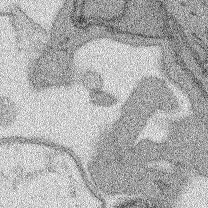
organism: Human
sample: HeLa cells